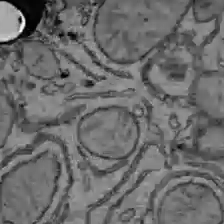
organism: C57BL Mouse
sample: Liver